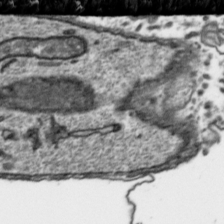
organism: Toxoplasma gondii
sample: Parasites in a vacuole inside a host cell